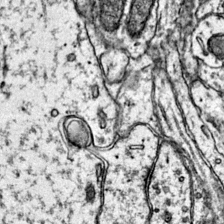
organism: Mouse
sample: Primary visual cortex